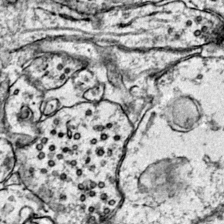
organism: Mouse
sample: Primary visual cortex